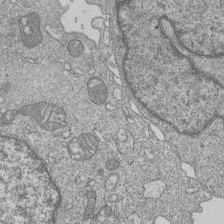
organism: Human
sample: MDA-MB-231 cells